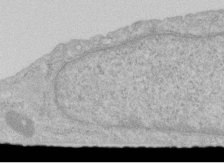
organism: Human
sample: Centriole in RPE cells